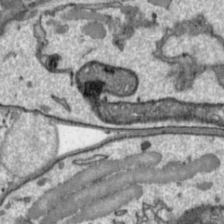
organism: Toxoplasma gondii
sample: Parasites in a vacuole inside a host cell